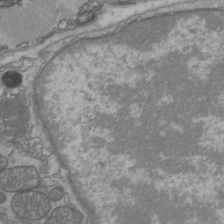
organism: C57BL Mouse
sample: Heart